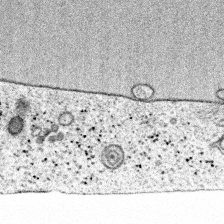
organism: Human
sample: HeLa cells